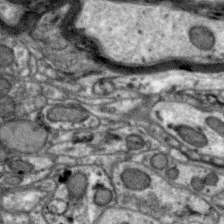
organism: Zebra finch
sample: Brain